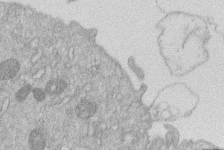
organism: Human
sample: Macrophage cells